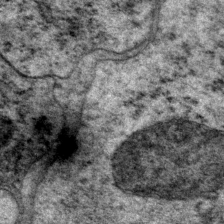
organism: P. pacificus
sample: Pharynx